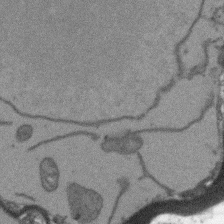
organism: Arabidopsis thaliana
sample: Root tip